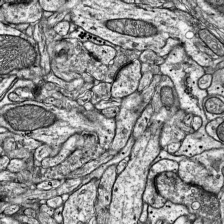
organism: Mouse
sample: Visual Cortex